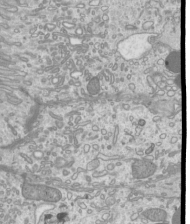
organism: Mouse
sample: Cilia; mouse epididymis